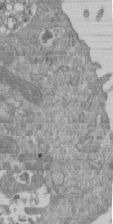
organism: Mouse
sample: ED-1 cell nuclei; centrioles